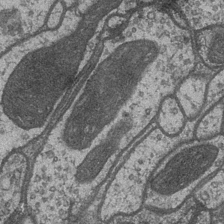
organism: Drosophila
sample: Optic medulla